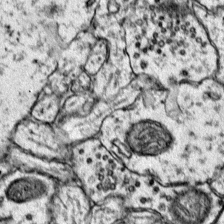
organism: Mouse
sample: Primary visual cortex